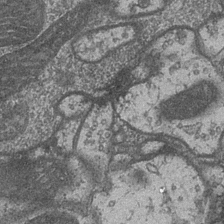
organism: Drosophila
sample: Optic medulla